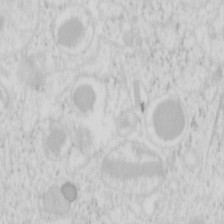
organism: Mouse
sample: Pancreas